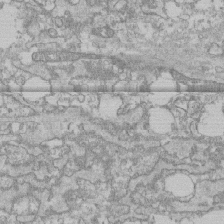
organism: Human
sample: CRL-1474